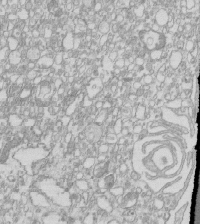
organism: Mouse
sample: Macrophages